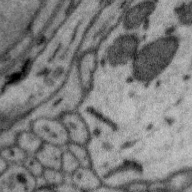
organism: Zebra finch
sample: Brain